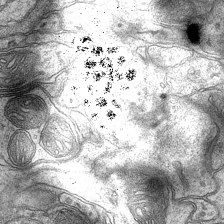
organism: Mouse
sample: CA1 Hippocampus